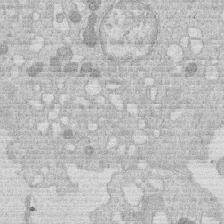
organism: Human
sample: Macrophage cells